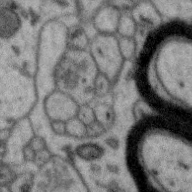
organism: Zebra finch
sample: Brain